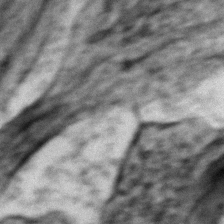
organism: Zebrafish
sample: Zebrafish embryo